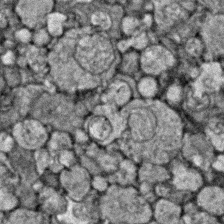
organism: Zebrafish